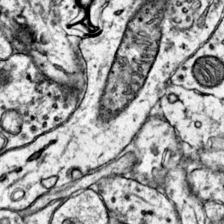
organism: Mouse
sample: Primary visual cortex